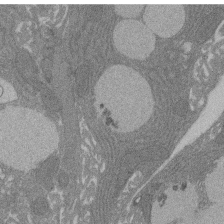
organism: Rat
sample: Salivary granule